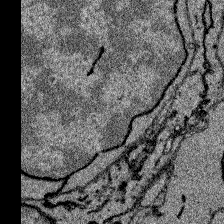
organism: Zebrafish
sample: Larval olfactory bulb